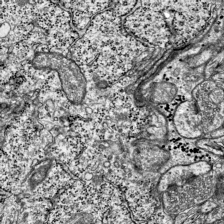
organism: Mouse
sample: Visual Cortex